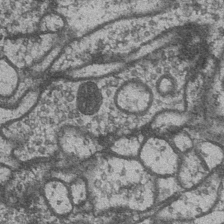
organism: Drosophila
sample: Optic medulla